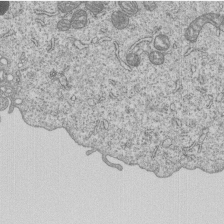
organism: Human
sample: MDA-MB-231 cells